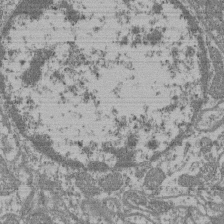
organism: Mouse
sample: Glomerulus